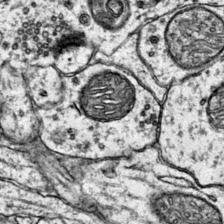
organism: Mouse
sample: Primary visual cortex